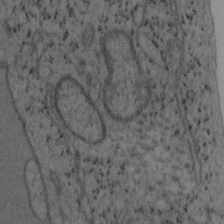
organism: Human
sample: HeLa cells